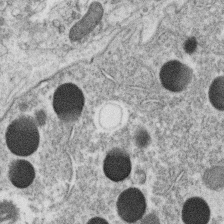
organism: C. elegans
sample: C. elegans oocyte; sperm cells